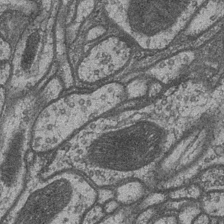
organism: Drosophila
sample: Optic medulla